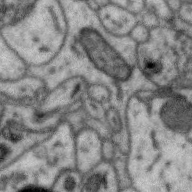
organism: Zebra finch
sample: Brain